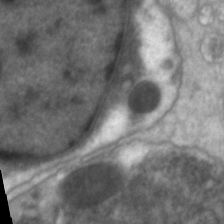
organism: C. elegans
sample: Pharynx